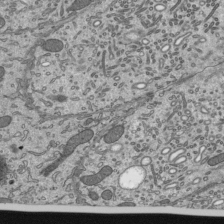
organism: Mouse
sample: Mouse epididymis efferent ductule cilia